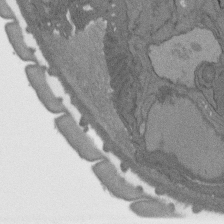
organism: C. elegans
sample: AFD neurons C. elegans